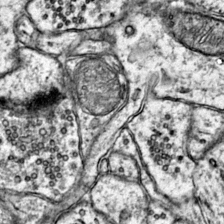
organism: Mouse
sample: Primary visual cortex